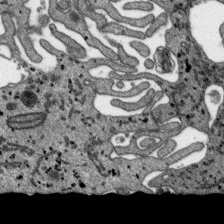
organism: Human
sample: Lung epithelial cells, uninfected (mock) control